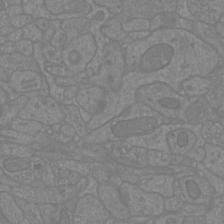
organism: Mouse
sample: Cortical neurons